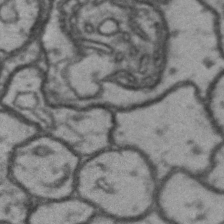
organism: Drosophila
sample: Brain